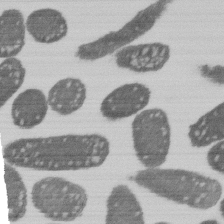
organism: E. coli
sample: Bacterial nucleoid